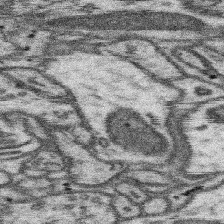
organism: Mouse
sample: Somatosensory cortex neuropil